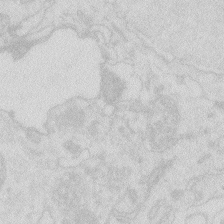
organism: Zebrafish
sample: Macrophage